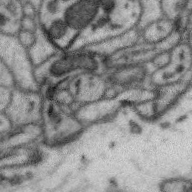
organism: Zebra finch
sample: Brain